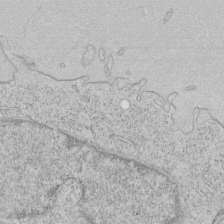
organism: Human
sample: Mitochondria in HCT116 cells